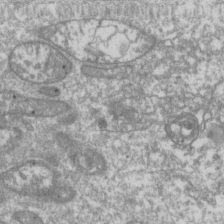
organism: Drosophila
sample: Cell division; meiosis; drosophila spermatocytes